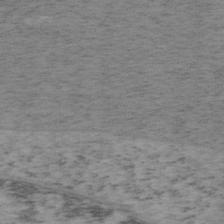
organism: Mouse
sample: OT-I killer T cells with ID8 ovarian cancer cells